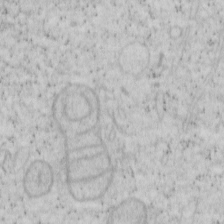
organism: Human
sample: HeLa cells